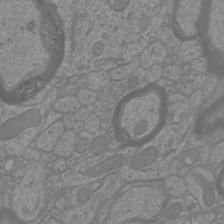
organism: Mouse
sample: Cortical neurons